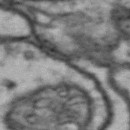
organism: Drosophila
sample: Brain